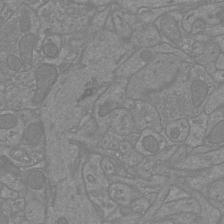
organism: Mouse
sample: Cortical neurons